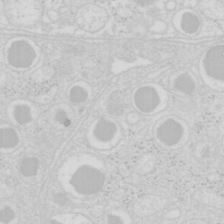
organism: Mouse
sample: Pancreas